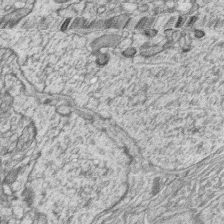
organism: Zebrafish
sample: synaptic ribbons in rod cells and cone cells